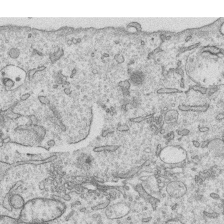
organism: Human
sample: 1205lu cells